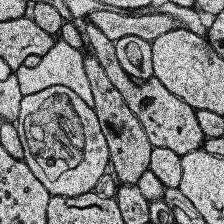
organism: Human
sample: Temporal Lobe